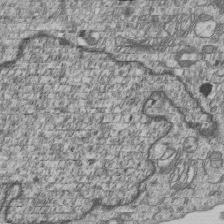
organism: Human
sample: MDA-MB-231 cells